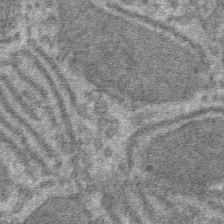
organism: Mouse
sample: Mouse hepatocytes